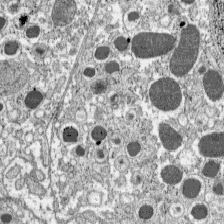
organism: C57BL Mouse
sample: Pancreatic islet